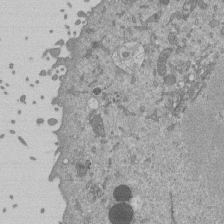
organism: Mouse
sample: ED-1 cell nuclei; centrioles